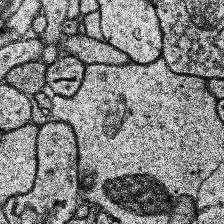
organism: Human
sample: Temporal Lobe